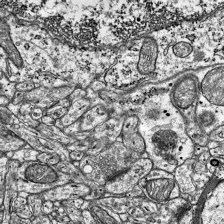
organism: Mouse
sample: Visual Cortex